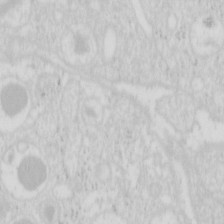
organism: Mouse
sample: Pancreas